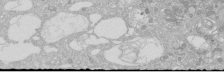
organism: Human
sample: Caco-2 cells